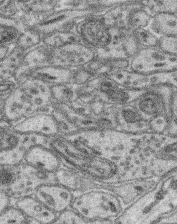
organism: Mouse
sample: Retina